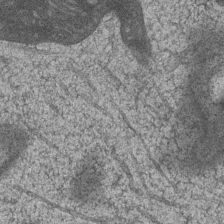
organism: Drosophila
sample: Optic medulla